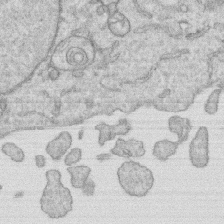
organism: Human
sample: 1205lu cells